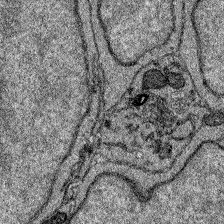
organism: Zebrafish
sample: Larval olfactory bulb